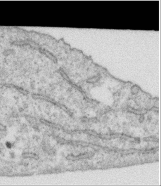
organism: Human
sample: Centriole in RPE cells